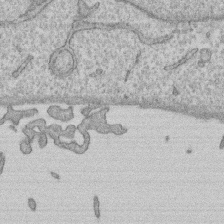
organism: Human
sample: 1205lu cells